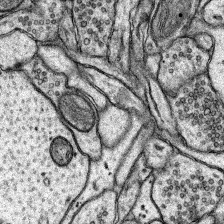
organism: Rat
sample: Hippocampus